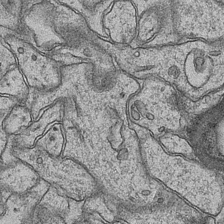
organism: Mouse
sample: CA1 Hippocampus